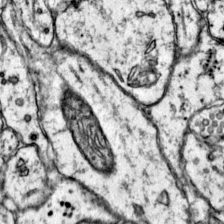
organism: Mouse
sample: Primary visual cortex